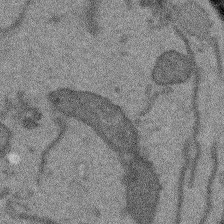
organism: Arabidopsis thaliana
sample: Root tip